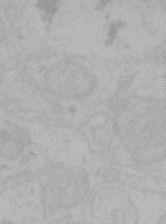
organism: Mouse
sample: Choroid plexus